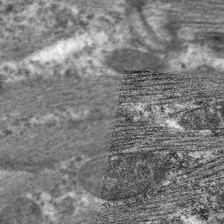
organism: C. elegans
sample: Pharynx